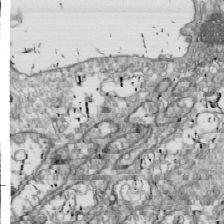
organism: Drosophila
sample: Cell division; meiosis; drosophila spermatocytes